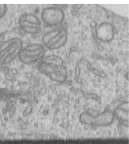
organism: Human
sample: Centriole in RPE cells